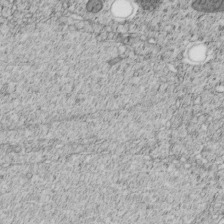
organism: C. elegans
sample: C. elegans embryo early stage